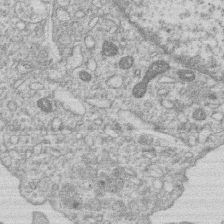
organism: Human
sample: Macrophage cells